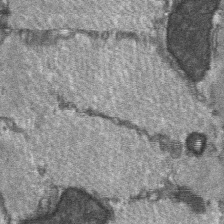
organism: C57BL Mouse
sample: Soleus